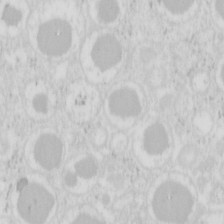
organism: Mouse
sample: Pancreas